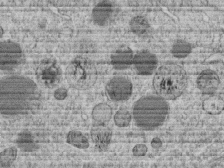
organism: C. elegans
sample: C. elegans embryo early stage